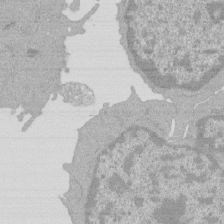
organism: Mouse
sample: Activated Pmel transgenic CD8+ T Cells